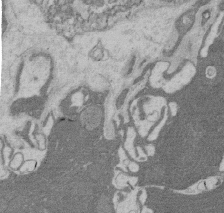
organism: Rat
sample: Salivary granule